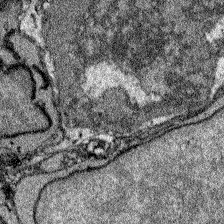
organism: Zebrafish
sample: Larval olfactory bulb